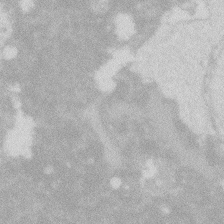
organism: Zebrafish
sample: Macrophage